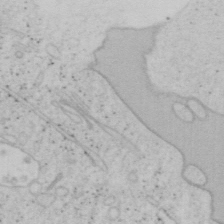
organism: Human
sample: HeLa cells